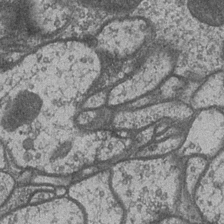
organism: Drosophila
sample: Optic medulla